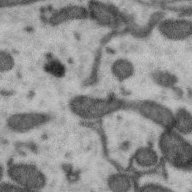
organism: Zebra finch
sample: Brain